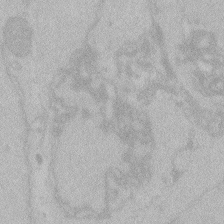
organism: Zebrafish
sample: Macrophage infected with Toxoplasma gondii